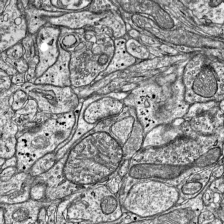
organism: Mouse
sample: Visual Cortex